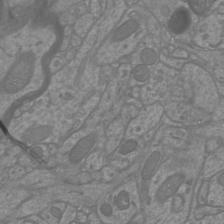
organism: Mouse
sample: Cortical neurons